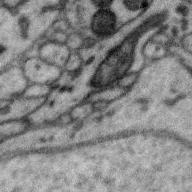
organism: Zebra finch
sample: Brain